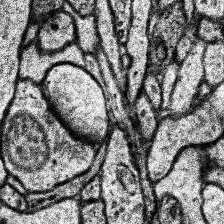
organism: Human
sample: Temporal Lobe